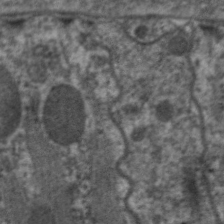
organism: C. elegans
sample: Pharynx